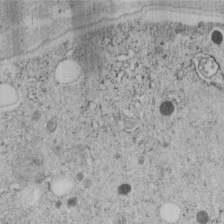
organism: C. elegans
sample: C. elegans embryo early stage